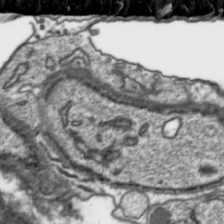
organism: Toxoplasma gondii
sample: Parasites in a vacuole inside a host cell